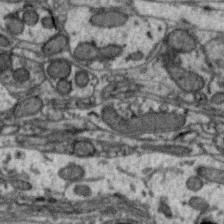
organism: Zebra finch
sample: Brain